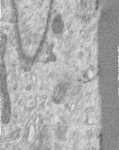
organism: Human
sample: Centriole in RPE cells